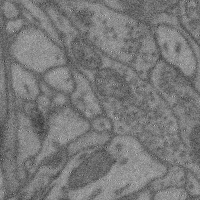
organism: Mouse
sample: Cerebral cortex